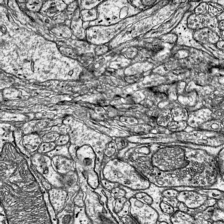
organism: Mouse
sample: Visual Cortex